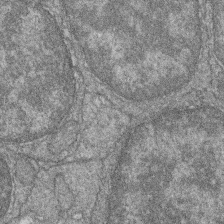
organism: Zebrafish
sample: Cilia; retinal pigment epithelium